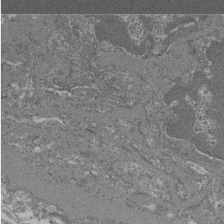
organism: Mouse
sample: Glomerulus